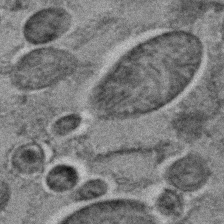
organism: C. elegans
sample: C. elegans embryo